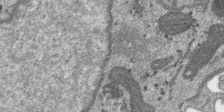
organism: Human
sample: Lung epithelial cells infected with SARS-CoV-2